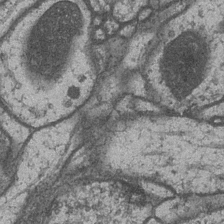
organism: Drosophila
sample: Optic medulla